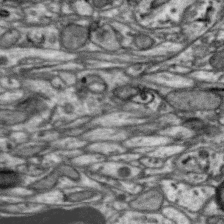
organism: Zebra finch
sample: Brain